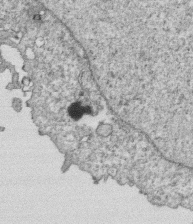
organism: Human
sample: HeLa cell HIV synapse